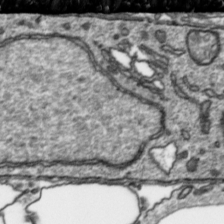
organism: Toxoplasma gondii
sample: Parasites in a vacuole inside a host cell